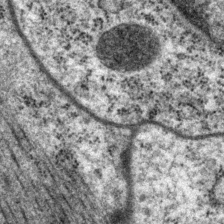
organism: P. pacificus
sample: Pharynx